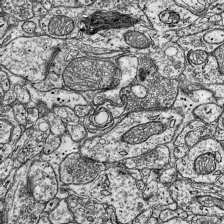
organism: Mouse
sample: Visual Cortex